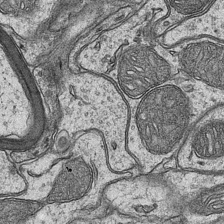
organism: Mouse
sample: CA1 Hippocampus